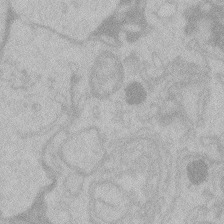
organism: Zebrafish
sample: Macrophage infected with Toxoplasma gondii